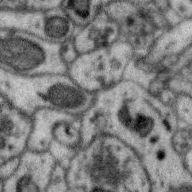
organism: Zebra finch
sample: Brain